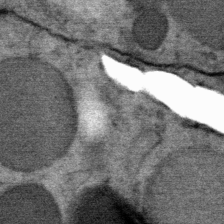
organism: Mouse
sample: Mouse Salivary gland